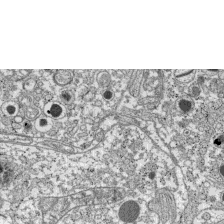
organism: C57BL Mouse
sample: Pancreatic islet